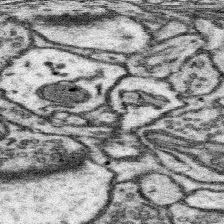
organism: Mouse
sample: Somatosensory cortex neuropil